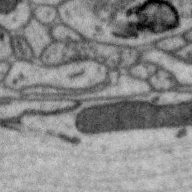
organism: Zebra finch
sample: Brain